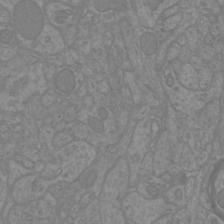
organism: Mouse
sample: Cortical neurons